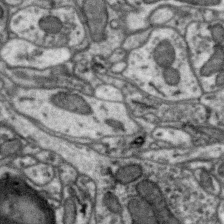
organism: Zebra finch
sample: Brain